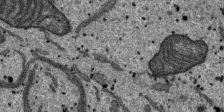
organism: Human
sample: Lung epithelial cells, uninfected (mock) control